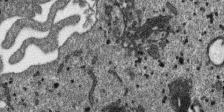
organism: Human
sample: Lung epithelial cells infected with SARS-CoV-2